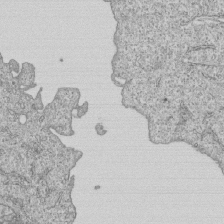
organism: Human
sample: MDA-MB-231 cells